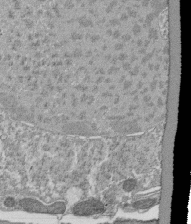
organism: Tetrahymena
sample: Cilia in tetrahymena